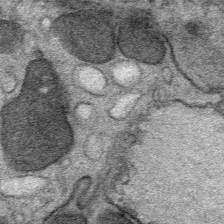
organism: Mouse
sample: Mouse Salivary gland